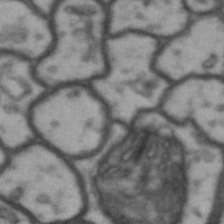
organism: Drosophila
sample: Brain